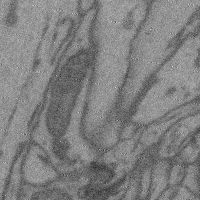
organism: Mouse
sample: Cerebral cortex